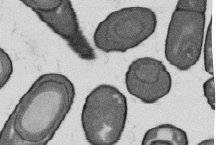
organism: B. subtilis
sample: Bacterial spore